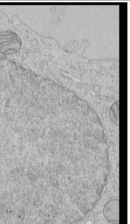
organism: Human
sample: Mitochondria in HCT116 cells